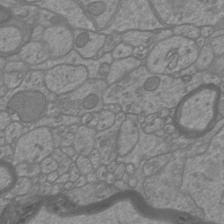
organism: Mouse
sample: Cortical neurons